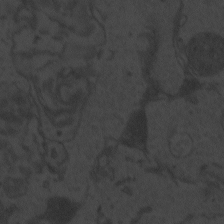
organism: Zebrafish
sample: Macrophage infected with Toxoplasma gondii